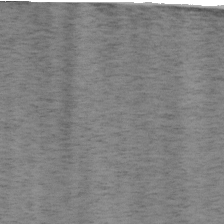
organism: Mouse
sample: OT-I killer T cells with ID8 ovarian cancer cells